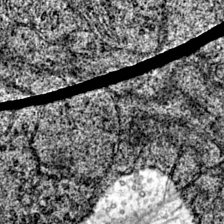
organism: Mouse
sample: Primary visual cortex